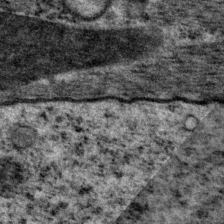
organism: P. pacificus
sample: Pharynx